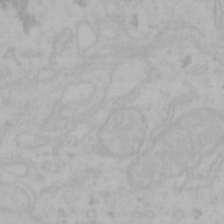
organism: Mouse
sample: Choroid plexus